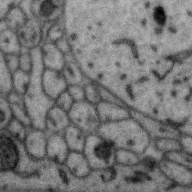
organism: Zebra finch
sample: Brain